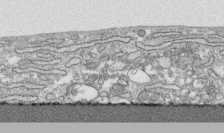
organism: Human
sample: CRL-1474